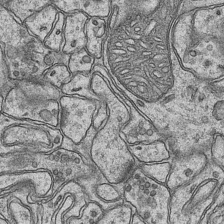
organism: Mouse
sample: CA1 Hippocampus